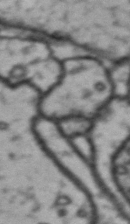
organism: Drosophila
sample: Brain